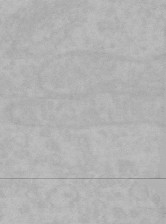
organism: Mouse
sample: Choroid plexus